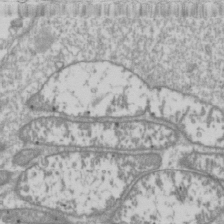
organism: Drosophila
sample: Cell division; meiosis; drosophila spermatocytes